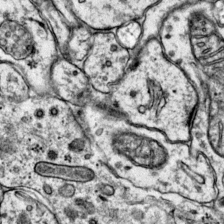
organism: Mouse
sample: Primary visual cortex